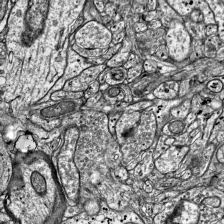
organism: Mouse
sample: Visual Cortex